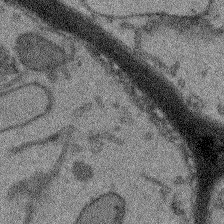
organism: Arabidopsis thaliana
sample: Root tip